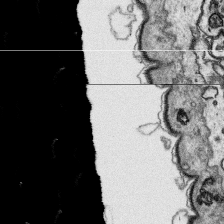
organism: Platynereis dumerilii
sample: Parapodia